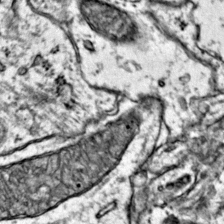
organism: Mouse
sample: Primary visual cortex